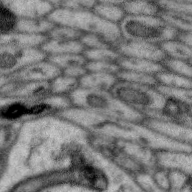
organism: Zebra finch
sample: Brain